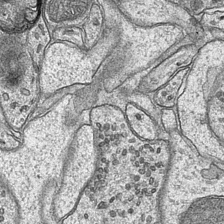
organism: Mouse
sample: CA1 Hippocampus